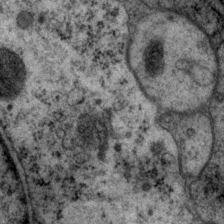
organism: P. pacificus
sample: Pharynx